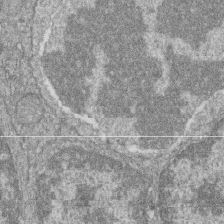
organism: Zebrafish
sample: Cilia; retinal pigment epithelium